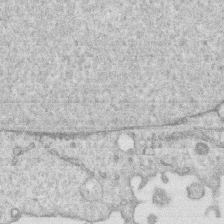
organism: Human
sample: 1205lu cells